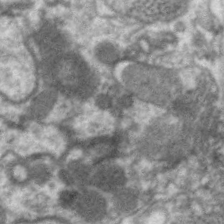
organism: C. elegans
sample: Pharynx